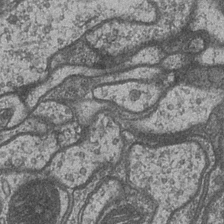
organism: Drosophila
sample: Optic medulla